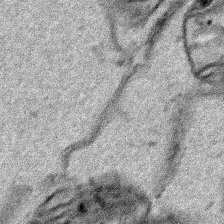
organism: Human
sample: Mitochondria in HCT116 cells